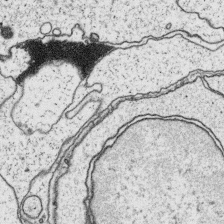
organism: Platynereis dumerilii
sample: Parapodia